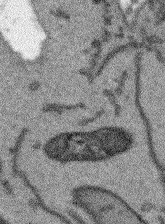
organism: Arabidopsis thaliana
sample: Root tip